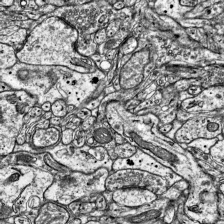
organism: Mouse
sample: Visual Cortex